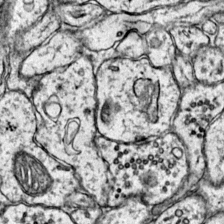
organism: Mouse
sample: Primary visual cortex